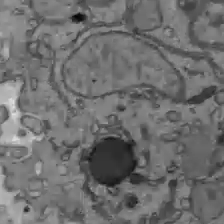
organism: C57BL Mouse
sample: Liver